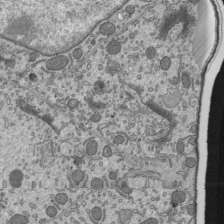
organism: Mouse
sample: Mouse epididymis efferent ductule cilia